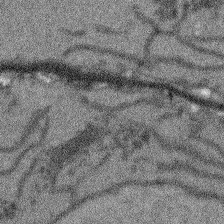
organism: Arabidopsis thaliana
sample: Root tip